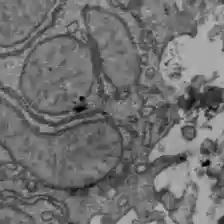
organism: C57BL Mouse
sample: Liver